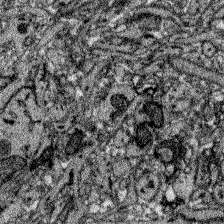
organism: Zebrafish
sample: Larval olfactory bulb